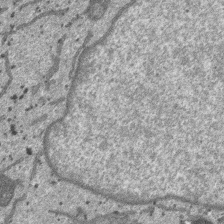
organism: Human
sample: Lung epithelial cells infected with SARS-CoV-2